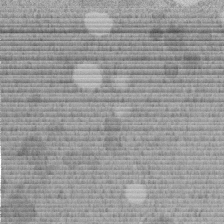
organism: C. elegans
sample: C. elegans embryo early stage